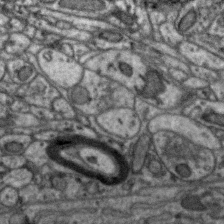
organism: Zebra finch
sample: Brain